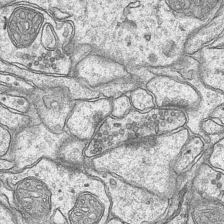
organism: Mouse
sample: CA1 Hippocampus